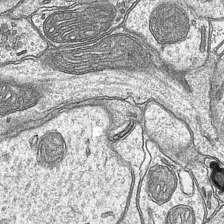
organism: Mouse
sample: CA1 Hippocampus